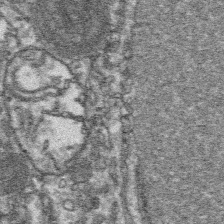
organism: Platynereis dumerilii